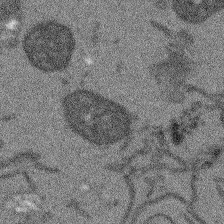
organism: Arabidopsis thaliana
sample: Root tip